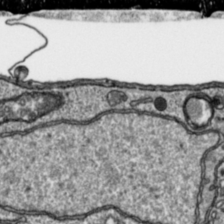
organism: Toxoplasma gondii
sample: Parasites in a vacuole inside a host cell